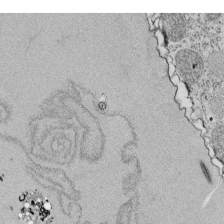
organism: Tetrahymena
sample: Cilia in tetrahymena